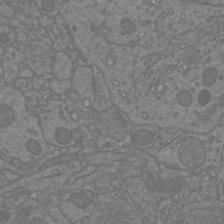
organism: Mouse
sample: Cortical neurons